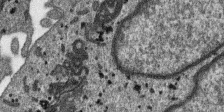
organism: Human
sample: Lung epithelial cells infected with SARS-CoV-2